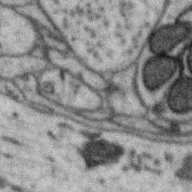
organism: Zebra finch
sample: Brain